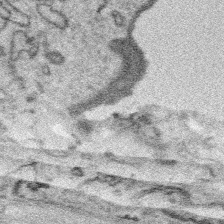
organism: Platynereis dumerilii